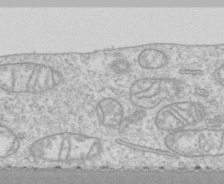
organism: Human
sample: CRL-1474